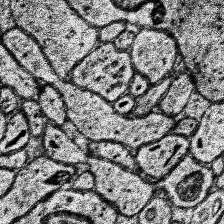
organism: Human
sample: Temporal Lobe